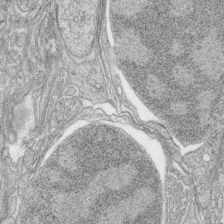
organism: Zebrafish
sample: synaptic ribbons in rod cells and cone cells